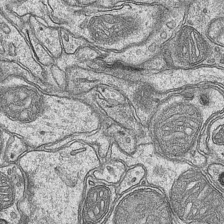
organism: Mouse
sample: CA1 Hippocampus